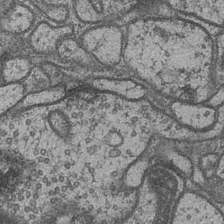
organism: Drosophila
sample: Optic medulla